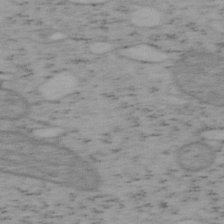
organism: Mouse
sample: OT-I killer T cells with ID8 ovarian cancer cells